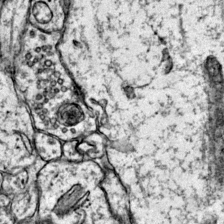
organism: Mouse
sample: Primary visual cortex